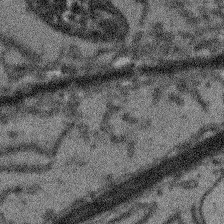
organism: Arabidopsis thaliana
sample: Root tip